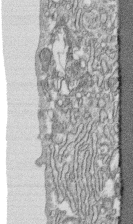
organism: Human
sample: CRL-1474